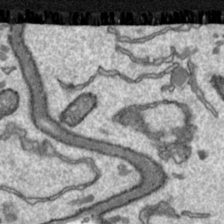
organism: Toxoplasma gondii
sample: Parasites in a vacuole inside a host cell